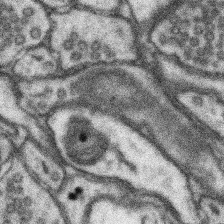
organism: Mouse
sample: Somatosensory cortex neuropil